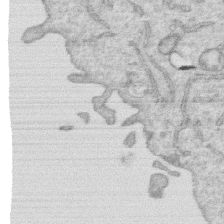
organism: Human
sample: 1205lu cells